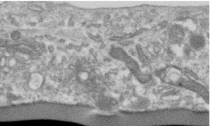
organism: Human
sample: Centriole in RPE cells